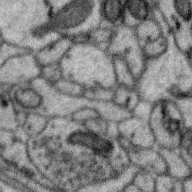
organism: Zebra finch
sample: Brain